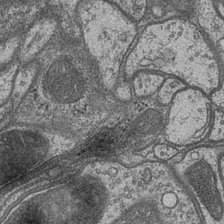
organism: Drosophila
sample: Optic medulla